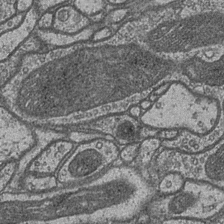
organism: Drosophila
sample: Optic medulla